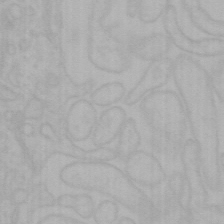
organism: Mouse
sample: Choroid plexus